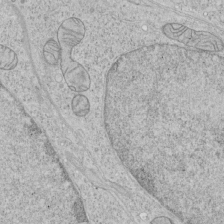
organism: Human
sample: Mitochondria in HCT116 cells